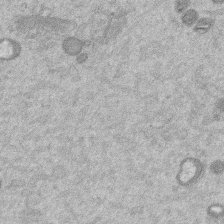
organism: Mouse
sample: Dividing mouse embryo 1 cell stage